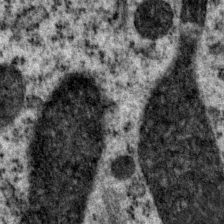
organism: P. pacificus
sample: Pharynx